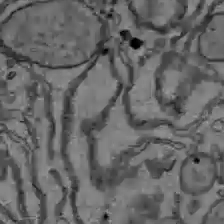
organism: C57BL Mouse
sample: Liver